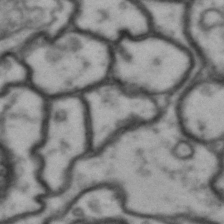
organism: Drosophila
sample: Brain